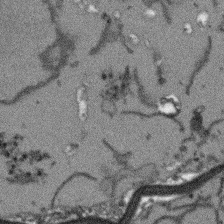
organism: Arabidopsis thaliana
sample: Root tip